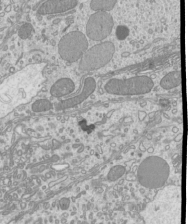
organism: Mouse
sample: Cilia; mouse epididymis